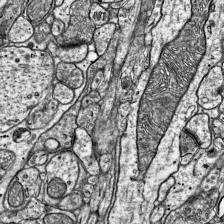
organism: Mouse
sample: Visual Cortex